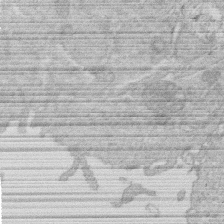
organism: Human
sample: Macrophage cells